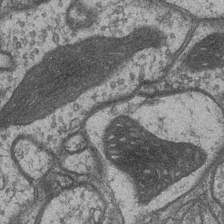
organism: Drosophila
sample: Optic medulla